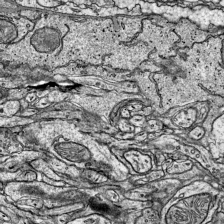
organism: Mouse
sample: Visual Cortex